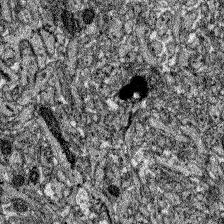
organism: Zebrafish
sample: Larval olfactory bulb